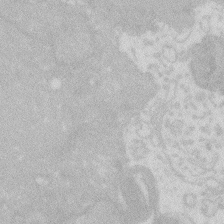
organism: Zebrafish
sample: Macrophage